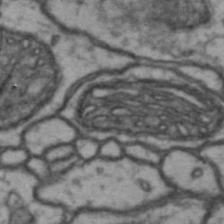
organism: Drosophila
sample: Brain